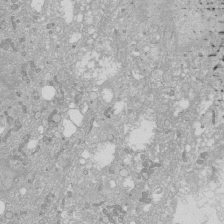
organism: Human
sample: Caco-2 cells